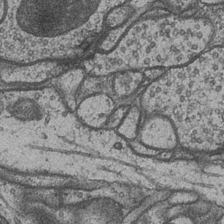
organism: Drosophila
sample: Optic medulla